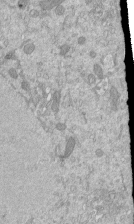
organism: Mouse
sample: ED-1 cell nuclei; centrioles